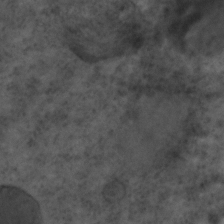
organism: C. elegans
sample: C. elegans embryo